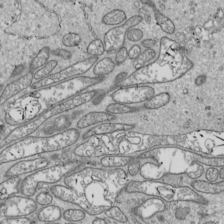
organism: Drosophila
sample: Cell division; meiosis; drosophila spermatocytes